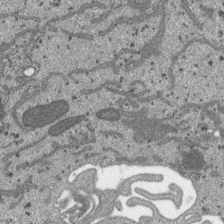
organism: Human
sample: Lung epithelial cells infected with SARS-CoV-2